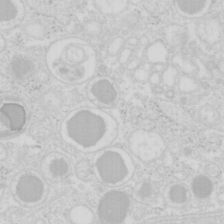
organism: Mouse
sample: Pancreas